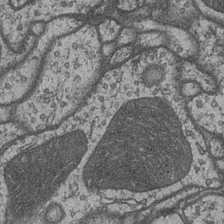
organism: Drosophila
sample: Optic medulla